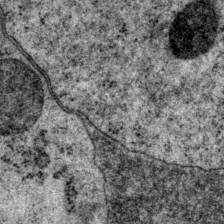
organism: P. pacificus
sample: Pharynx